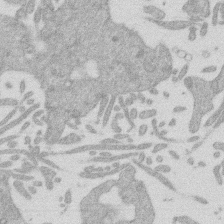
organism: Mouse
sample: Dividing mouse embryo 1 cell stage